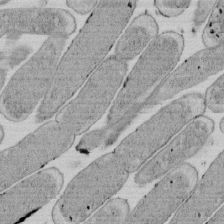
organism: E. coli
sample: Bacterial nucleoid